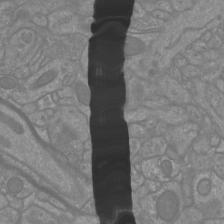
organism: Mouse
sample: Cortical neurons